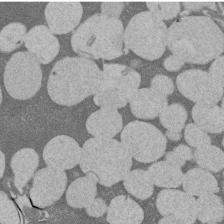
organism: Rat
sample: Salivary granule